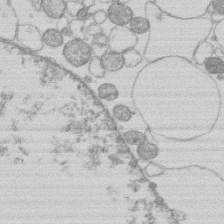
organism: Human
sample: Macrophage cells